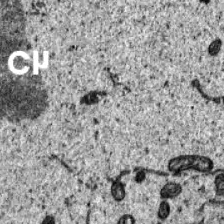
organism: Human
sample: HeLa cells